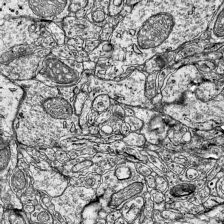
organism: Mouse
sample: Visual Cortex